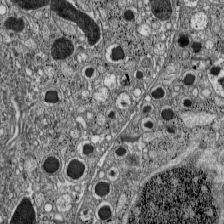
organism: C57BL Mouse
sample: Pancreatic islet